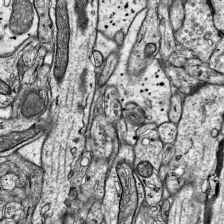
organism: Mouse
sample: Visual Cortex